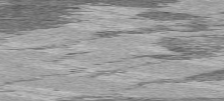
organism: C57BL Mouse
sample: Heart